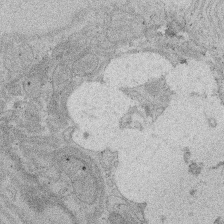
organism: Rat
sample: Salivary granule